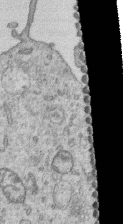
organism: Human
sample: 1205lu cells